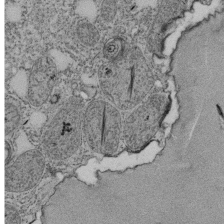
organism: Tetrahymena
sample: Cilia in tetrahymena